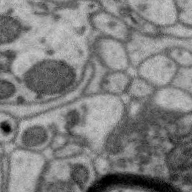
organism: Zebra finch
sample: Brain